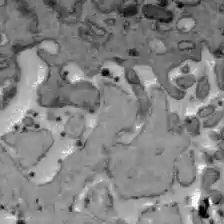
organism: C57BL Mouse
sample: Liver